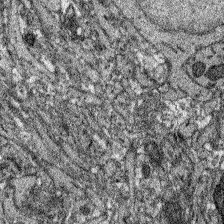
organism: Zebrafish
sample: Larval olfactory bulb